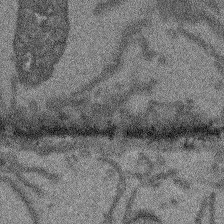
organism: Arabidopsis thaliana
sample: Root tip